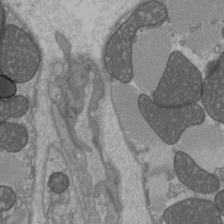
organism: C57BL Mouse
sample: Heart